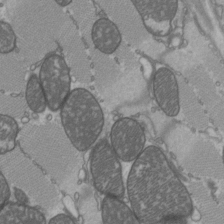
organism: C57BL Mouse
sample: Heart